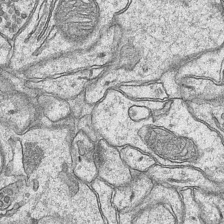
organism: Mouse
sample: CA1 Hippocampus